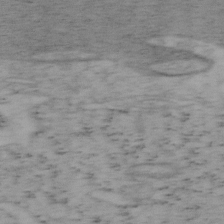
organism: Mouse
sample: OT-I killer T cells with ID8 ovarian cancer cells